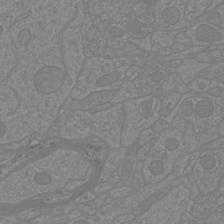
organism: Mouse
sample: Cortical neurons